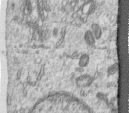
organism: Human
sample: Centriole in RPE cells